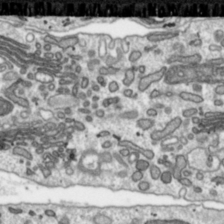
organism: Toxoplasma gondii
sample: Parasites in a vacuole inside a host cell